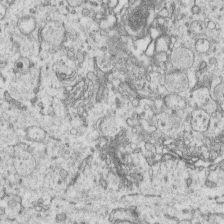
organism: Human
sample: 1205lu cells